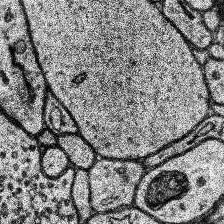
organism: Human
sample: Temporal Lobe